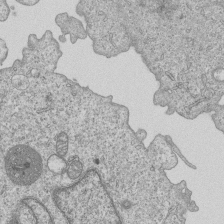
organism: Human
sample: MDA-MB-231 cells